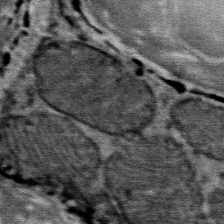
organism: Mouse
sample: Mouse Salivary gland